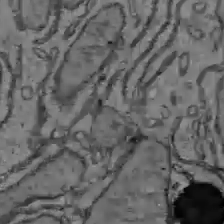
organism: C57BL Mouse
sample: Liver